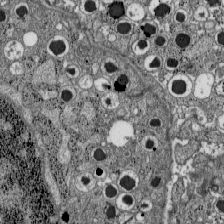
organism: C57BL Mouse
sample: Pancreatic islet